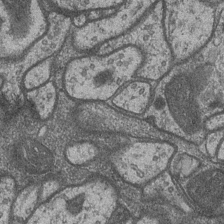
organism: Drosophila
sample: Optic medulla